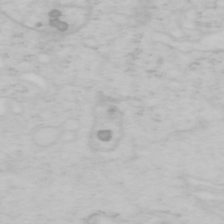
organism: Mouse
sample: OT-I killer T cells with ID8 ovarian cancer cells